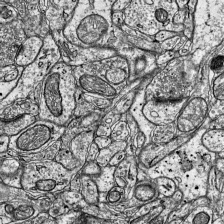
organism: Mouse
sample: Visual Cortex